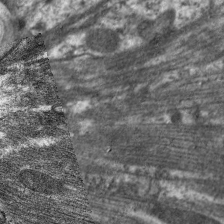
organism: C. elegans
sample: Pharynx